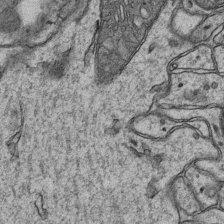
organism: Mouse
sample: CA1 Hippocampus